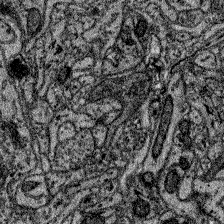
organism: Zebrafish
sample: Larval olfactory bulb